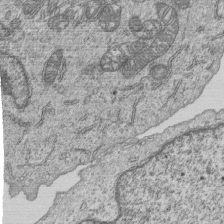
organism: Human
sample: MDA-MB-231 cells